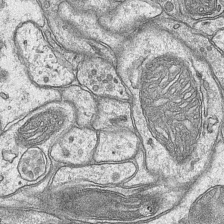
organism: Mouse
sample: CA1 Hippocampus